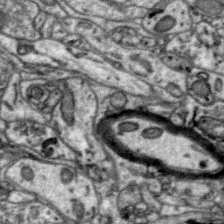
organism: Zebra finch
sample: Brain